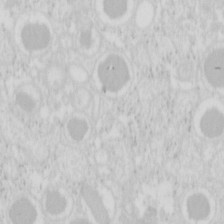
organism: Mouse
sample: Pancreas